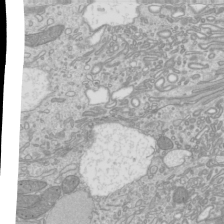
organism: Mouse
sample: Cilia; mouse epididymis